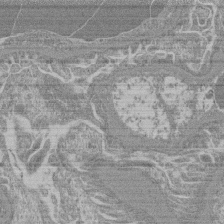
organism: Mouse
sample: Glomerulus